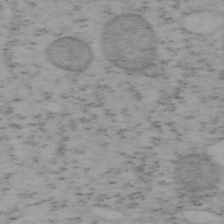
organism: Mouse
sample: OT-I killer T cells with ID8 ovarian cancer cells